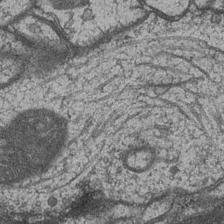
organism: Drosophila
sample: Optic medulla